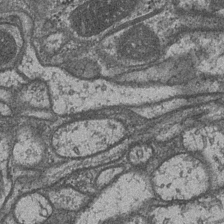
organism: Drosophila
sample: Optic medulla